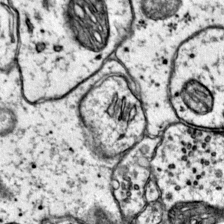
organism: Mouse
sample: Primary visual cortex